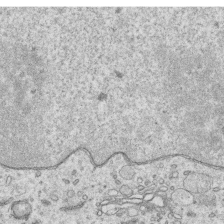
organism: Human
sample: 1205lu cells